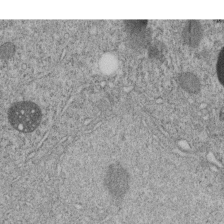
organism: C. elegans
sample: C. elegans embryo early stage